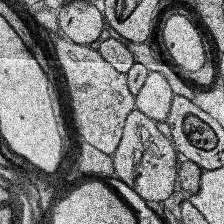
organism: Human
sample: Temporal Lobe